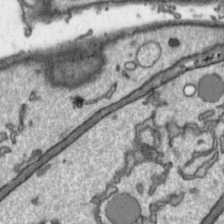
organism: Toxoplasma gondii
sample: Parasites in a vacuole inside a host cell